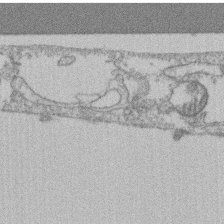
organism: Mouse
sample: T cell stromal cell synapse